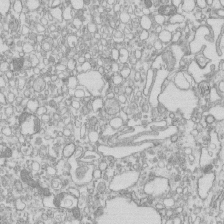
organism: Mouse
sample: Macrophages